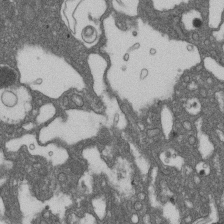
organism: Drosophila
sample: Nephrocyte